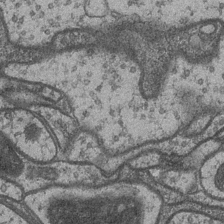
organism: Drosophila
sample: Optic medulla